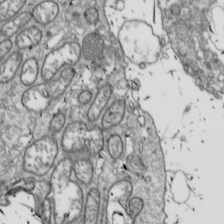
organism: Drosophila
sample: Cell division; meiosis; drosophila spermatocytes